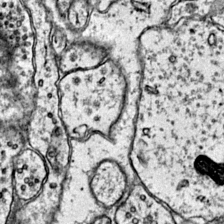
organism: Mouse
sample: Primary visual cortex